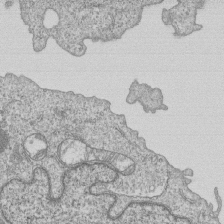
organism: Human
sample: MDA-MB-231 cells